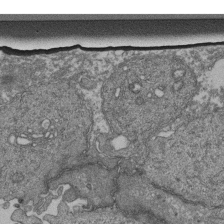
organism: Human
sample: Retinal organoid Rod and Cone cells